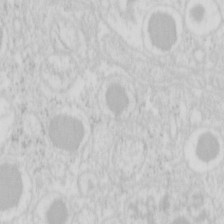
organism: Mouse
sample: Pancreas